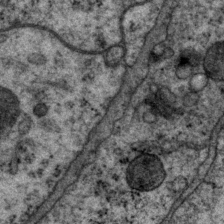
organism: P. pacificus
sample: Pharynx